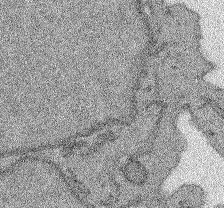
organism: Human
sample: HeLa cells